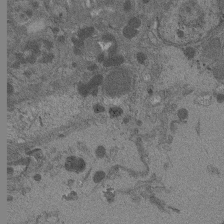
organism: Drosophila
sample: Antenna